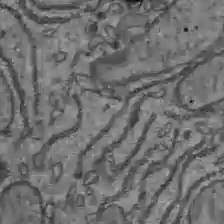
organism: C57BL Mouse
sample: Liver